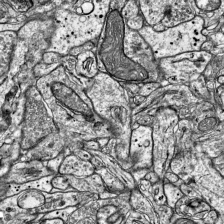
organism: Mouse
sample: Visual Cortex